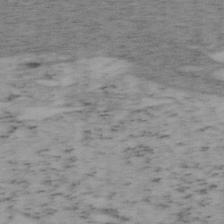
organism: Mouse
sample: OT-I killer T cells with ID8 ovarian cancer cells